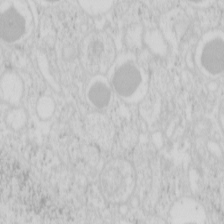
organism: Mouse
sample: Pancreas